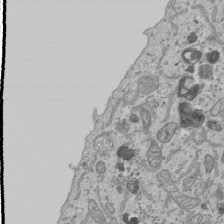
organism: Human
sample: Mitochondria in U2OS cells